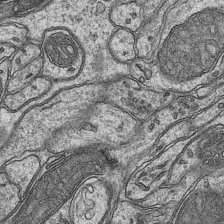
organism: Mouse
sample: CA1 Hippocampus